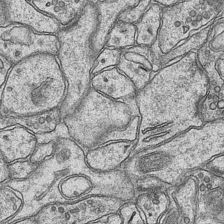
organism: Mouse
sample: CA1 Hippocampus